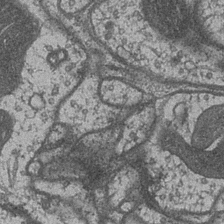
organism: Drosophila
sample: Optic medulla